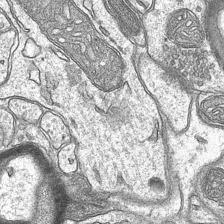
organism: Mouse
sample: CA1 Hippocampus